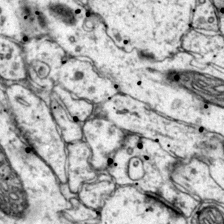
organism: Mouse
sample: Primary visual cortex